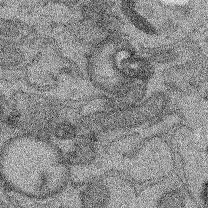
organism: Human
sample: HeLa cells